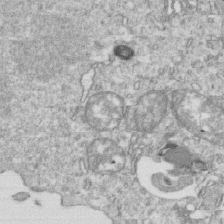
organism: Mouse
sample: Activated OT-1 CD8+ T cells